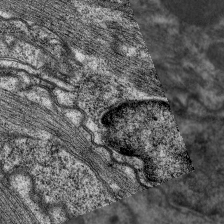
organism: C. elegans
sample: Pharynx